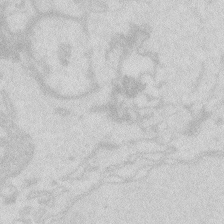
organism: Zebrafish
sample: Macrophage